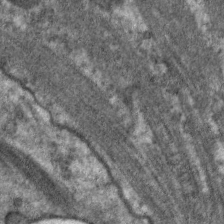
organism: C. elegans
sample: Pharynx